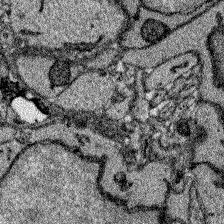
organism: Zebrafish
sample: Larval olfactory bulb